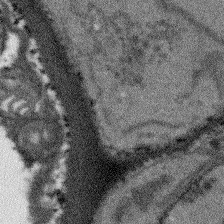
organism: Arabidopsis thaliana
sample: Root tip